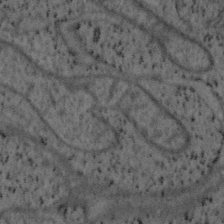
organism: Human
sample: HeLa cells